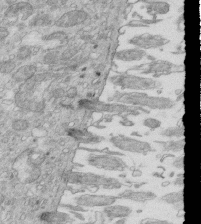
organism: Mouse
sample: Multiciliated cells